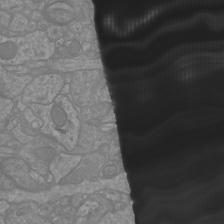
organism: Mouse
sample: Cortical neurons